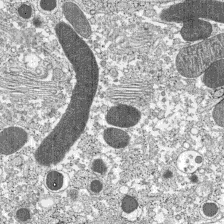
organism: C57BL Mouse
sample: Pancreatic islet